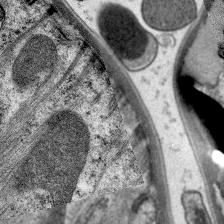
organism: C. elegans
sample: Pharynx